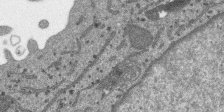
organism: Human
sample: Lung epithelial cells infected with SARS-CoV-2